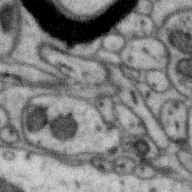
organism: Zebra finch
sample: Brain